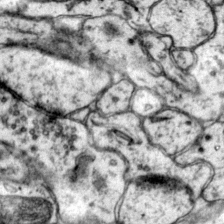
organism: Mouse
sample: Primary visual cortex